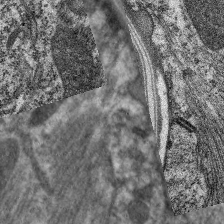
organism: C. elegans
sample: Pharynx